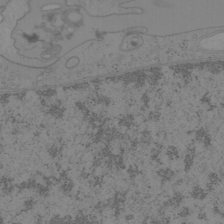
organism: Human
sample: HeLa cells